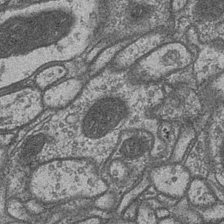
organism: Drosophila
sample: Optic medulla